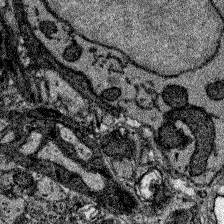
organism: Zebrafish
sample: Larval olfactory bulb